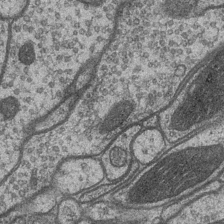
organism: Drosophila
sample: Optic medulla